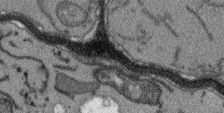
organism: Arabidopsis thaliana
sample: Root tip